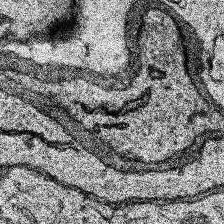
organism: Human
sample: Temporal Lobe